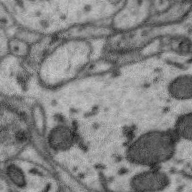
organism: Zebra finch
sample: Brain